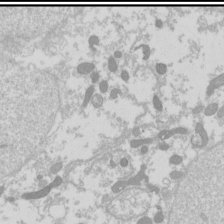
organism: Drosophila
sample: Cell division; meiosis; drosophila spermatocytes